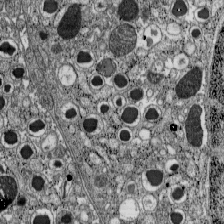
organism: C57BL Mouse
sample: Pancreatic islet